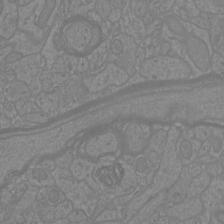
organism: Mouse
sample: Cortical neurons